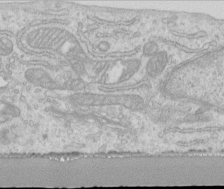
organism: Human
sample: Centriole in RPE cells